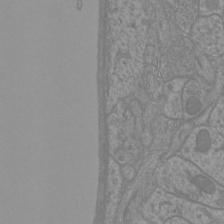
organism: Mouse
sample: Cortical neurons